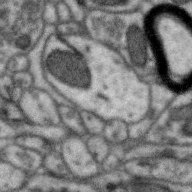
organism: Zebra finch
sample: Brain